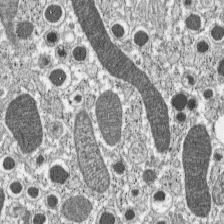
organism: C57BL Mouse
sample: Pancreatic islet